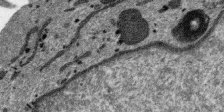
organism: Human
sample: Lung epithelial cells, uninfected (mock) control